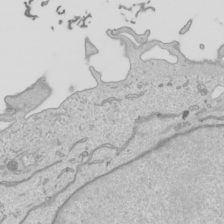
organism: Human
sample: Mitochondria in HCT116 cells